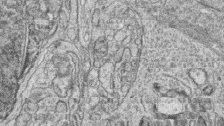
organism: Zebrafish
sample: synaptic ribbons in rod cells and cone cells